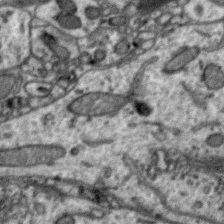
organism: Zebra finch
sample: Brain